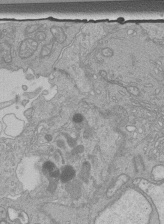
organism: Human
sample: Retinal organoid Rod and Cone cells